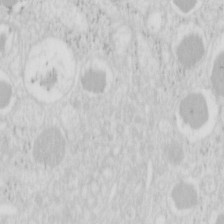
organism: Mouse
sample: Pancreas